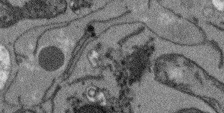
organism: Arabidopsis thaliana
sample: Root tip